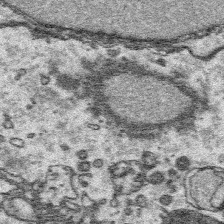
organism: Platynereis dumerilii